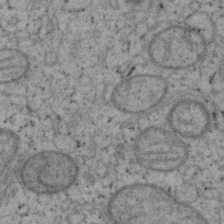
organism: Human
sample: HeLa cells